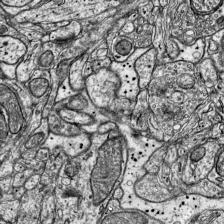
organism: Mouse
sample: Visual Cortex